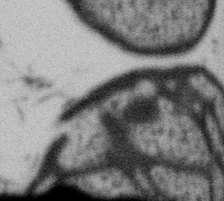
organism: Gemmata obscuriglobus